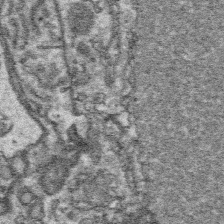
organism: Platynereis dumerilii